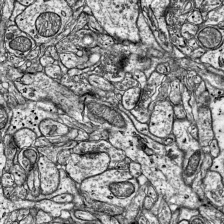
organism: Mouse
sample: Visual Cortex